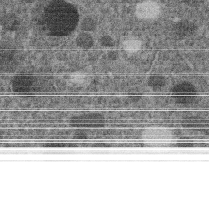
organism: C. elegans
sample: C. elegans embryo early stage